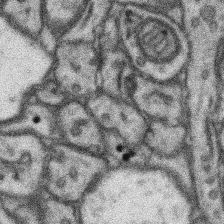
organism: Mouse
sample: Somatosensory cortex neuropil